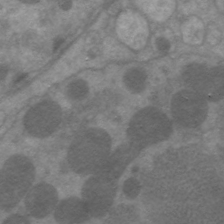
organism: C. elegans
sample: Pharynx